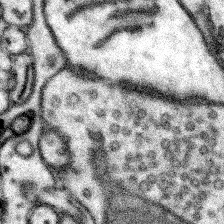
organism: Mouse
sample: Somatosensory cortex neuropil